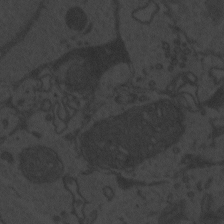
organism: Zebrafish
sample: Macrophage infected with Toxoplasma gondii